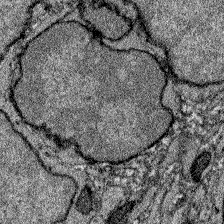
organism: Zebrafish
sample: Larval olfactory bulb